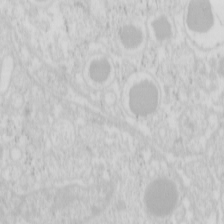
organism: Mouse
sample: Pancreas